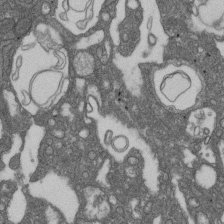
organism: Drosophila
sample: Nephrocyte